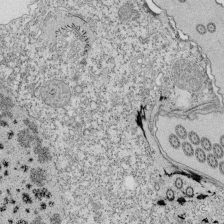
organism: Tetrahymena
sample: Cilia in tetrahymena